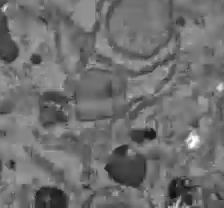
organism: C57BL Mouse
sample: Liver